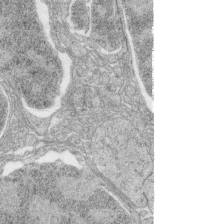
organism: Zebrafish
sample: synaptic ribbons in rod cells and cone cells